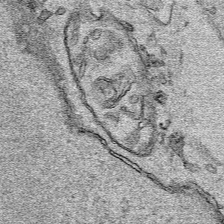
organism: Human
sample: Mitochondria in HCT116 cells